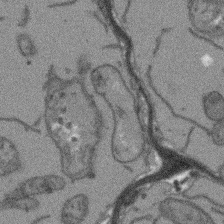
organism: Arabidopsis thaliana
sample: Root tip